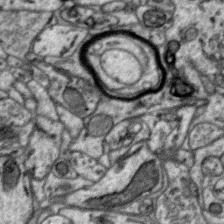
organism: Zebra finch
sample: Brain